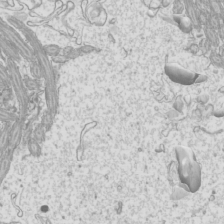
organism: Mouse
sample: Cilia; mouse epididymis